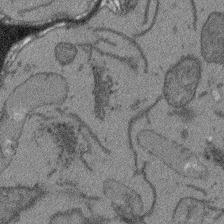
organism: Arabidopsis thaliana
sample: Root tip